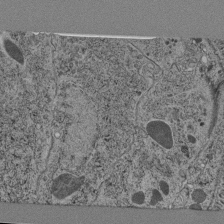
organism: C. elegans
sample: C. elegans pharynx